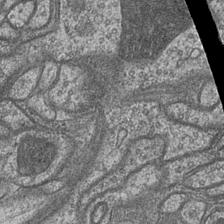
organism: Drosophila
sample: Optic medulla